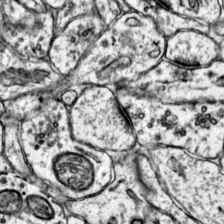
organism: Mouse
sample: Primary visual cortex